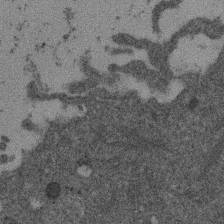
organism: Mouse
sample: Dividing mouse embryo 1 cell stage